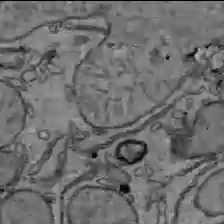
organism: C57BL Mouse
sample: Liver